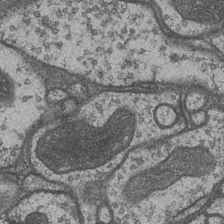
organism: Drosophila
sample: Optic medulla